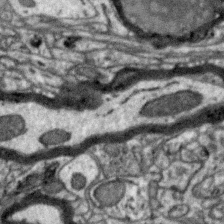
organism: Zebra finch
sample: Brain